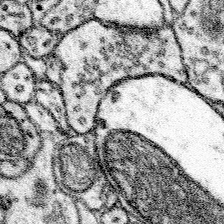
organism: Mouse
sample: Somatosensory cortex neuropil